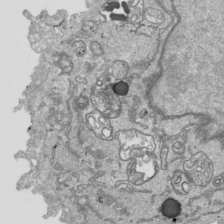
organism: Human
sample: Mitochondria in HCT116 cells